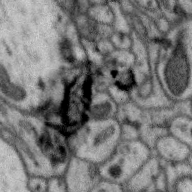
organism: Zebra finch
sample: Brain